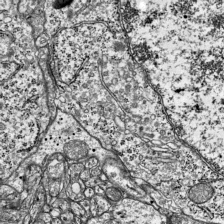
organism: Mouse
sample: Visual Cortex